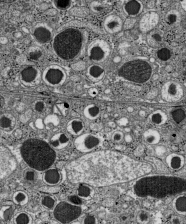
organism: C57BL Mouse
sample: Pancreatic islet